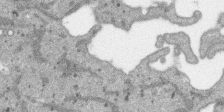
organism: Human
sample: Lung epithelial cells infected with SARS-CoV-2